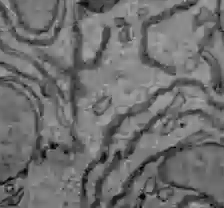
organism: C57BL Mouse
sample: Liver